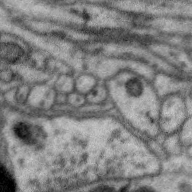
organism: Zebra finch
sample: Brain